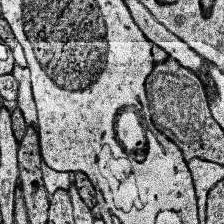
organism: Human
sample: Temporal Lobe